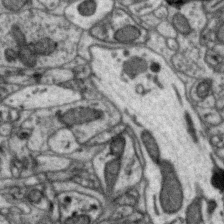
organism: Zebra finch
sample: Brain